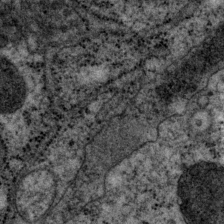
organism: P. pacificus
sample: Pharynx